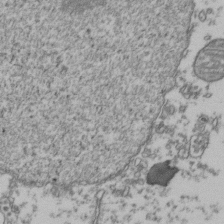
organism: Human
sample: Activated Jurkat CD4+ T cells